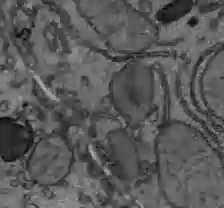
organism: C57BL Mouse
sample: Liver